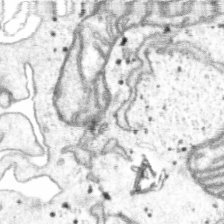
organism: Human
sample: HeLa cells